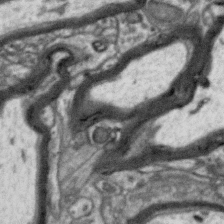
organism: Zebra finch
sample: Brain